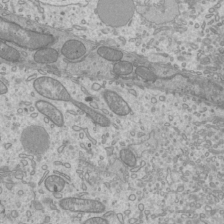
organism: Mouse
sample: Cilia; mouse epididymis